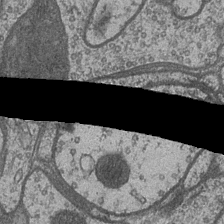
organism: Drosophila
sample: Optic medulla